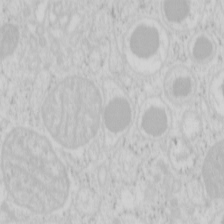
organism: Mouse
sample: Pancreas